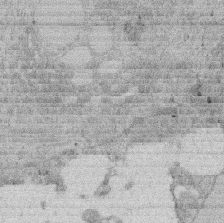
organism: Rat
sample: Salivary granule